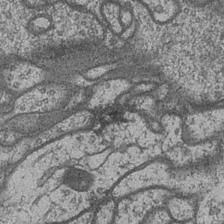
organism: Drosophila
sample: Optic medulla